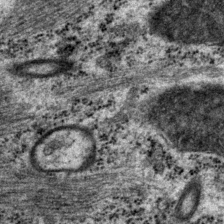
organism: P. pacificus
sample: Pharynx